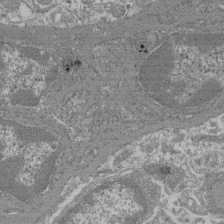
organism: Mouse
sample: Glomerulus